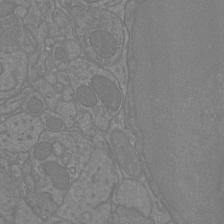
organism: Mouse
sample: Cortical neurons